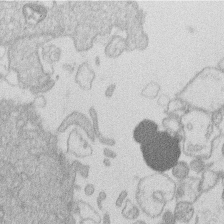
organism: Human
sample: Macrophage cells